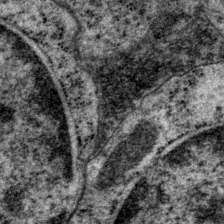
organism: P. pacificus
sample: Pharynx